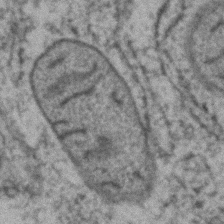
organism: Zebrafish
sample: Zebrafish embryo